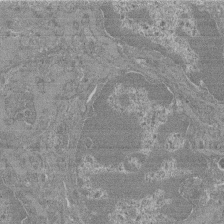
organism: Mouse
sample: Glomerulus